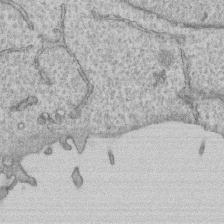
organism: Human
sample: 1205lu cells